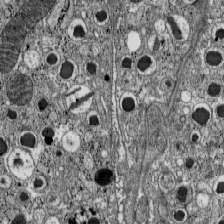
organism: C57BL Mouse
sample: Pancreatic islet